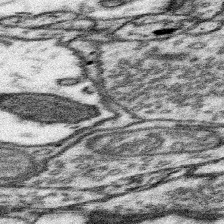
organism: Mouse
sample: Somatosensory cortex neuropil